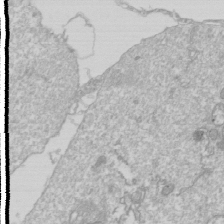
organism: Drosophila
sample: Cell division; meiosis; drosophila spermatocytes